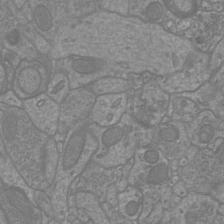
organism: Mouse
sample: Cortical neurons